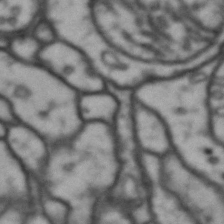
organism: Drosophila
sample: Brain